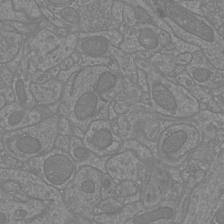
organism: Mouse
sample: Cortical neurons